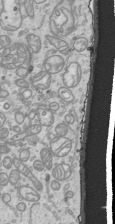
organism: Human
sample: Mitochondria in HCT116 cells